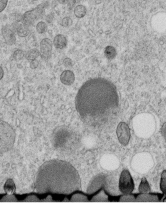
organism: C. elegans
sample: C. elegans embryo early stage